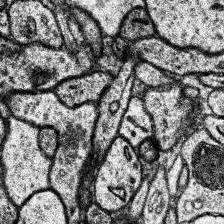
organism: Human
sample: Temporal Lobe